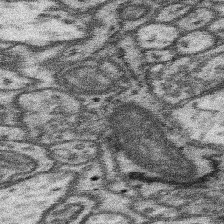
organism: Mouse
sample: Somatosensory cortex neuropil